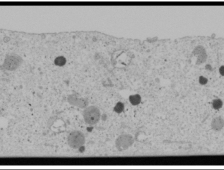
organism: Human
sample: Mitochondria in U2OS cells